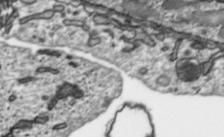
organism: Toxoplasma gondii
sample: Parasites in a vacuole inside a host cell